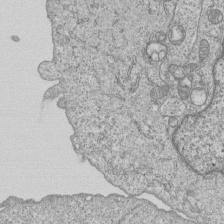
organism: Human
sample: MDA-MB-231 cells